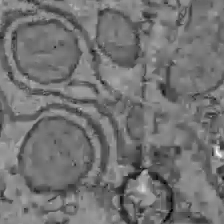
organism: C57BL Mouse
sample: Liver